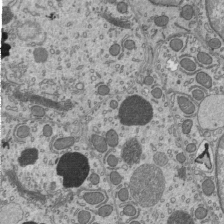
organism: Mouse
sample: Mouse epididymis efferent ductule cilia